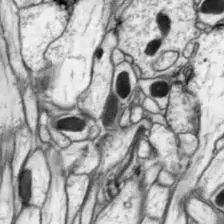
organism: Drosophila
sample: Optic lobe